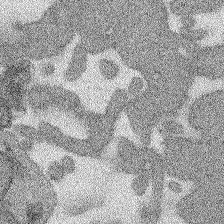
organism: Human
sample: HeLa cells